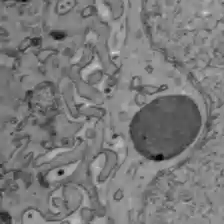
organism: C57BL Mouse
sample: Liver